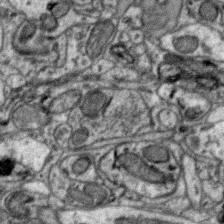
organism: Zebra finch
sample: Brain